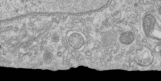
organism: Human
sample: Centriole in RPE cells